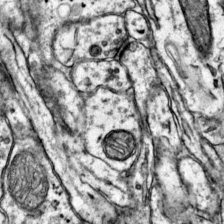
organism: Mouse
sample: Primary visual cortex